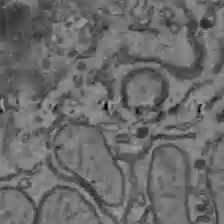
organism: C57BL Mouse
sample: Liver